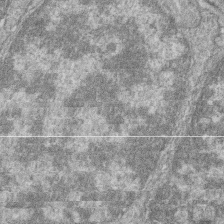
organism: Zebrafish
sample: Cilia; retinal pigment epithelium